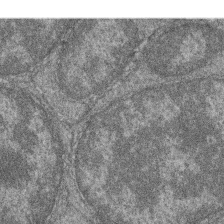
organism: Zebrafish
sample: Cilia; retinal pigment epithelium